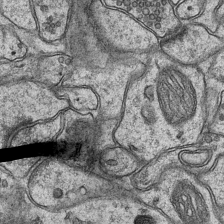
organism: Mouse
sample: CA1 Hippocampus